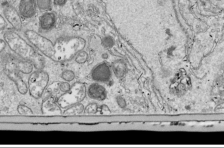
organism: Drosophila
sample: Cell division; meiosis; drosophila spermatocytes